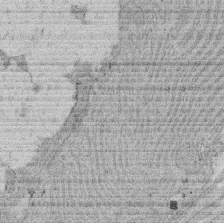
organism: Rat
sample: Salivary granule